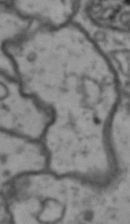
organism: Drosophila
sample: Brain